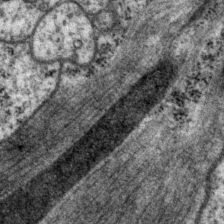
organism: P. pacificus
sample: Pharynx